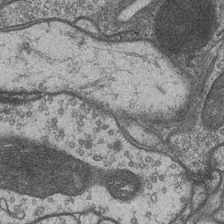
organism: Drosophila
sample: Optic medulla